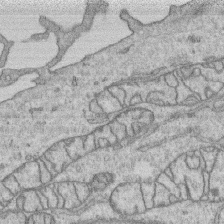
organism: Human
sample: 1205lu cells